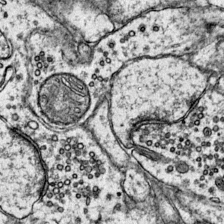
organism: Mouse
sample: Primary visual cortex